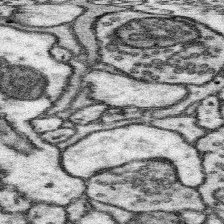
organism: Mouse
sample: Somatosensory cortex neuropil